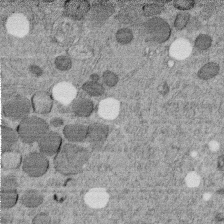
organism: C. elegans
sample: C. elegans embryo early stage